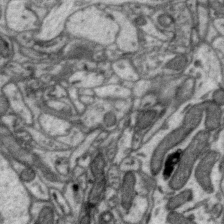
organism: Zebra finch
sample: Brain